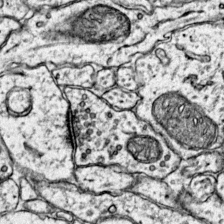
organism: Mouse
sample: Primary visual cortex